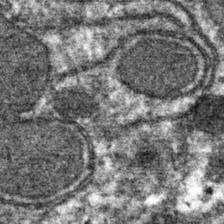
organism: Mouse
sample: Mouse hepatocytes